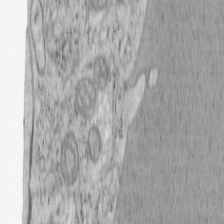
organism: Human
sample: HeLa cells